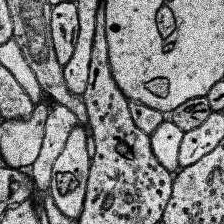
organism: Human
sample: Temporal Lobe